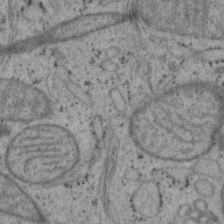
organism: Human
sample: HeLa cells